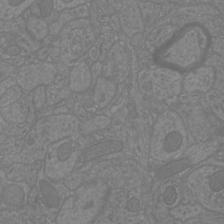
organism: Mouse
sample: Cortical neurons